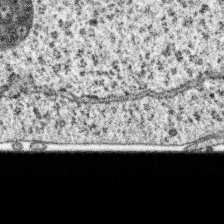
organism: Human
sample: HeLa cells